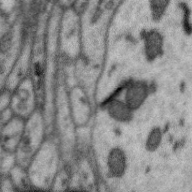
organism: Zebra finch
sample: Brain